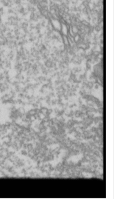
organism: Drosophila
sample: Cell division; meiosis; drosophila spermatocytes